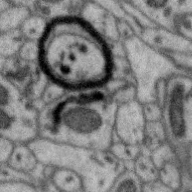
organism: Zebra finch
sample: Brain